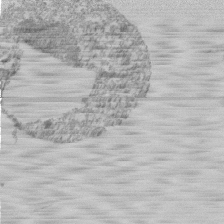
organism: Mouse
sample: Activated Pmel transgenic CD8+ T Cells